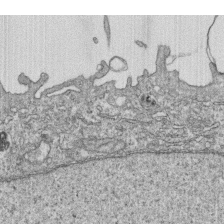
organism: Human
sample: HeLa cell HIV synapse